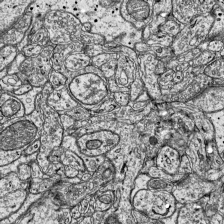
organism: Mouse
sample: Visual Cortex